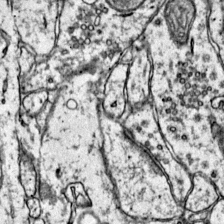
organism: Mouse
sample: Primary visual cortex